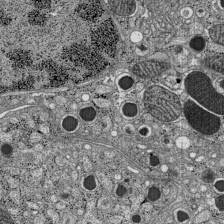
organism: C57BL Mouse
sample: Pancreatic islet